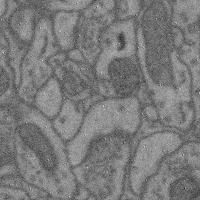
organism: Mouse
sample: Cerebral cortex